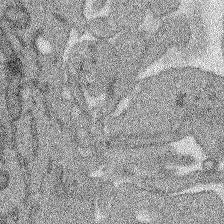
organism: Human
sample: HeLa cells